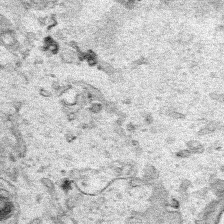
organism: Human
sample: Mitochondria in HCT116 cells